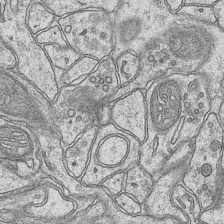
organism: Mouse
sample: CA1 Hippocampus